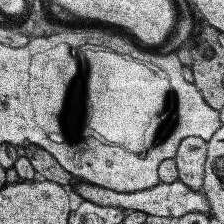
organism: Human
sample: Temporal Lobe